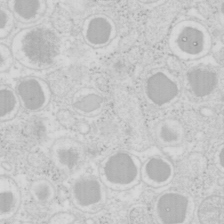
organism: Mouse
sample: Pancreas